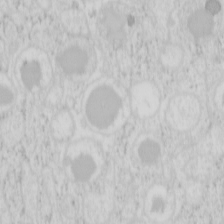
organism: Mouse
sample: Pancreas